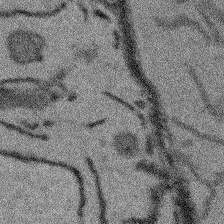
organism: Arabidopsis thaliana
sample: Root tip